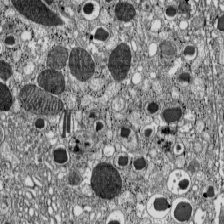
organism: C57BL Mouse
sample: Pancreatic islet